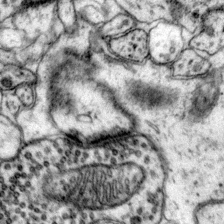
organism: Mouse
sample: Primary visual cortex